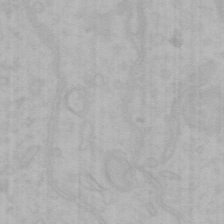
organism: Mouse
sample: Choroid plexus